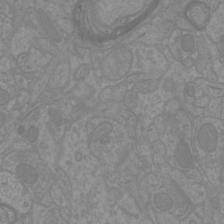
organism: Mouse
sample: Cortical neurons